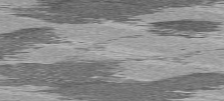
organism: C57BL Mouse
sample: Heart